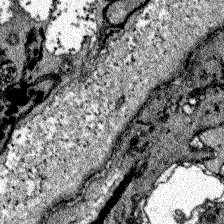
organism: Zebrafish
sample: Larval olfactory bulb